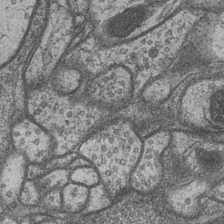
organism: Drosophila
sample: Optic medulla